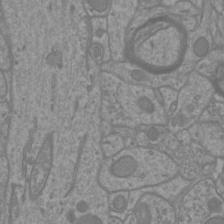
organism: Mouse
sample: Cortical neurons